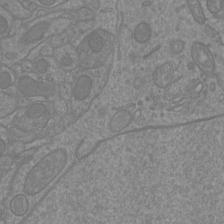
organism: Mouse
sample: Cortical neurons